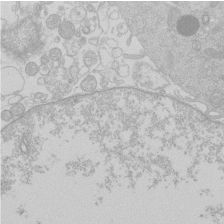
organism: Human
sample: Macrophage cells